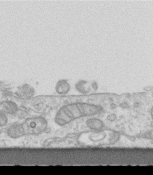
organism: Mouse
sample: Centriole in ependymal cells